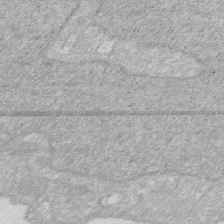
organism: Human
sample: HIV infected U937 cells